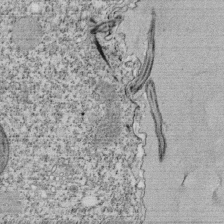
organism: Tetrahymena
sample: Cilia in tetrahymena